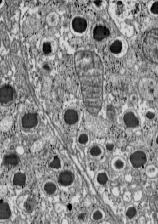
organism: C57BL Mouse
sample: Pancreatic islet